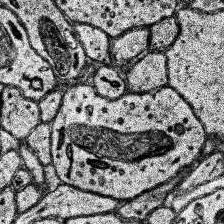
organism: Human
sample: Temporal Lobe